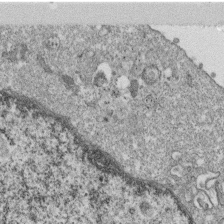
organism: African green monkey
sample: Vero E6 cells infected with SARS-CoV-2